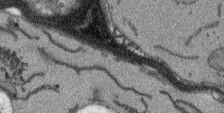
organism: Arabidopsis thaliana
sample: Root tip